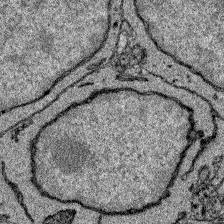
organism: Zebrafish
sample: Larval olfactory bulb